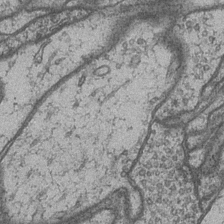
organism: Drosophila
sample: Optic medulla